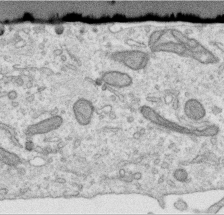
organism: Human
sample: Centriole in RPE cells